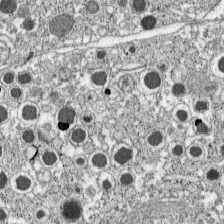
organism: C57BL Mouse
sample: Pancreatic islet